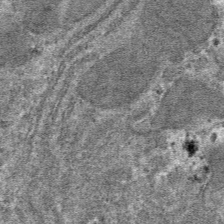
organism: Mouse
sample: Mouse hepatocytes